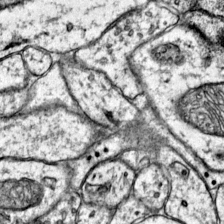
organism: Mouse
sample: Primary visual cortex